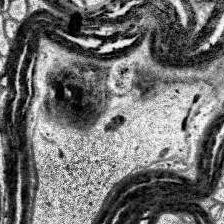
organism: Human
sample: Temporal Lobe